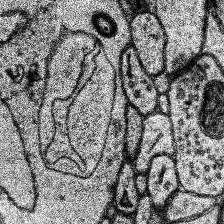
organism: Human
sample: Temporal Lobe